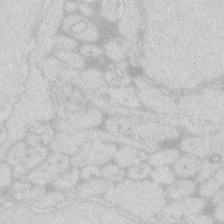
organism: Zebrafish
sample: Macrophage